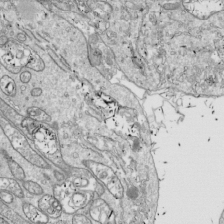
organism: Drosophila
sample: Cell division; meiosis; drosophila spermatocytes